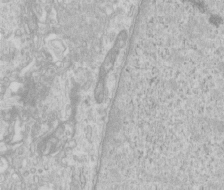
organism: Human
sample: Centriole in RPE cells